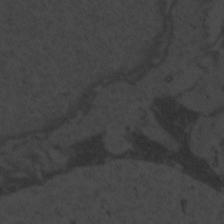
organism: Zebrafish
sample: Macrophage infected with Toxoplasma gondii